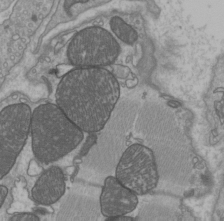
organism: C57BL Mouse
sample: Heart